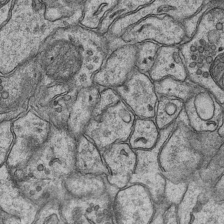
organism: Mouse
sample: CA1 Hippocampus